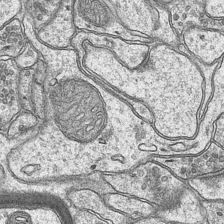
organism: Mouse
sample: CA1 Hippocampus